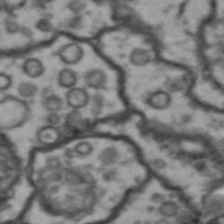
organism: Drosophila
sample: Brain